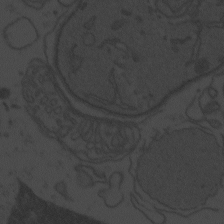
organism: Zebrafish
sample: Macrophage infected with Toxoplasma gondii